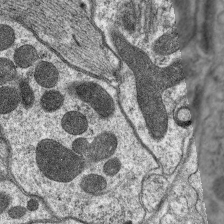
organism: C. elegans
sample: Pharynx